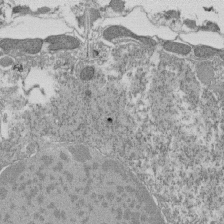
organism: Tetrahymena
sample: Cilia in tetrahymena